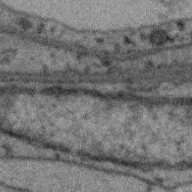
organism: Zebra finch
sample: Brain